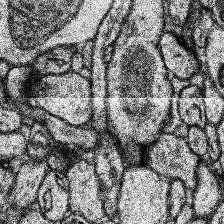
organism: Human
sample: Temporal Lobe